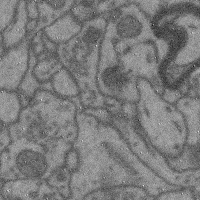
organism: Mouse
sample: Cerebral cortex